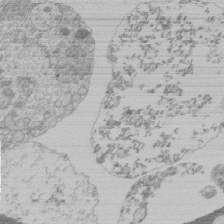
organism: Mouse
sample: Activated Pmel transgenic CD8+ T Cells